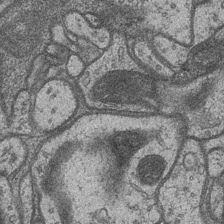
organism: Drosophila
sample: Optic medulla